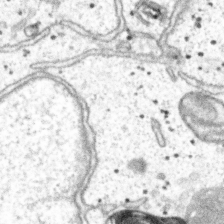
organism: Human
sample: HeLa cells